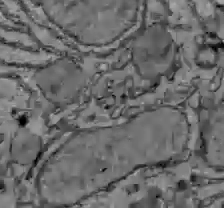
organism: C57BL Mouse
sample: Liver